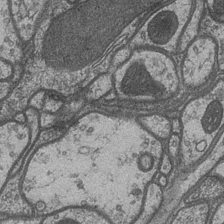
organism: Drosophila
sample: Optic medulla